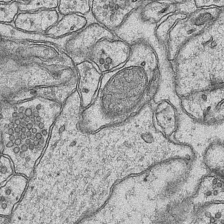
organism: Mouse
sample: CA1 Hippocampus